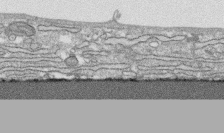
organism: Human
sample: CRL-1474